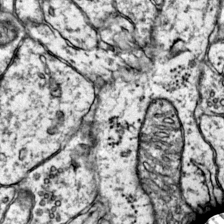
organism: Mouse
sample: Primary visual cortex